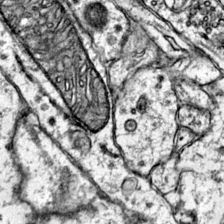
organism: Mouse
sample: Primary visual cortex